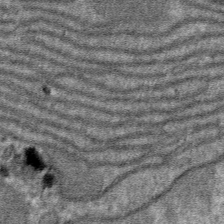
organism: Mouse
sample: Mouse hepatocytes